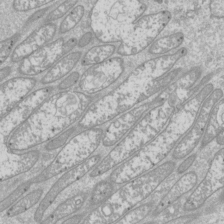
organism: Drosophila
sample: Cell division; meiosis; drosophila spermatocytes